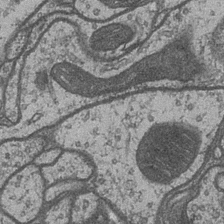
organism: Drosophila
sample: Optic medulla